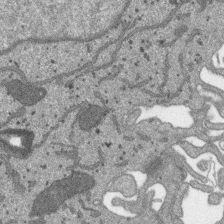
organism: Human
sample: Lung epithelial cells infected with SARS-CoV-2